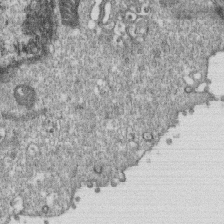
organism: African green monkey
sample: Vero E6 cells infected with SARS-CoV-2